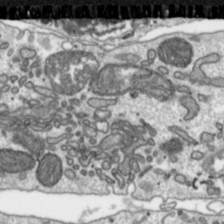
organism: Toxoplasma gondii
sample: Parasites in a vacuole inside a host cell